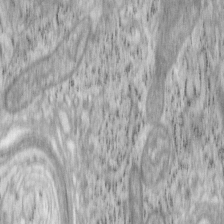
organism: Human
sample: HeLa cells